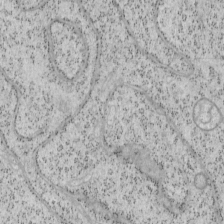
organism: Mouse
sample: OT-I killer T cells with ID8 ovarian cancer cells